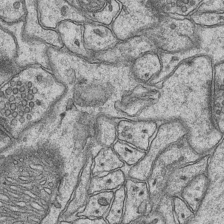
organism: Mouse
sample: CA1 Hippocampus